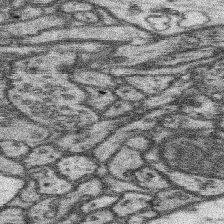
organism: Mouse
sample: Somatosensory cortex neuropil